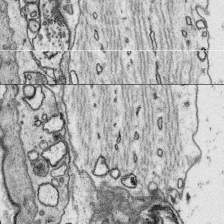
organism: Platynereis dumerilii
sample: Parapodia